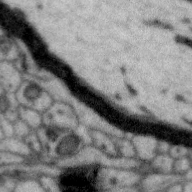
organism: Zebra finch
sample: Brain